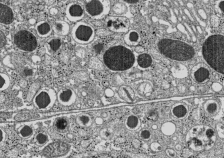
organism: C57BL Mouse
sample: Pancreatic islet